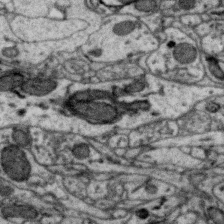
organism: Zebra finch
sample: Brain